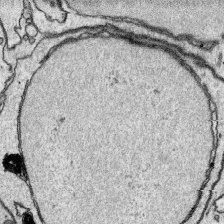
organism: Platynereis dumerilii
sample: Parapodia